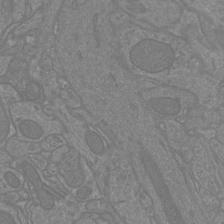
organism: Mouse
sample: Cortical neurons